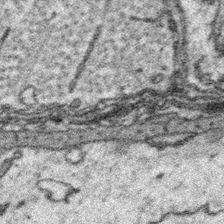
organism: Platynereis dumerilii